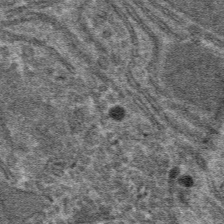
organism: Mouse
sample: Mouse hepatocytes